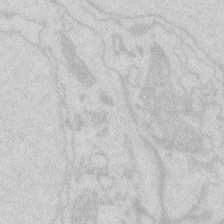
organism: Zebrafish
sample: Macrophage